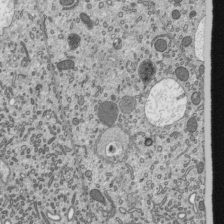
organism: Mouse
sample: Mouse epididymis efferent ductule cilia